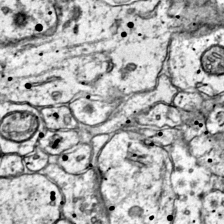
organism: Mouse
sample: Primary visual cortex